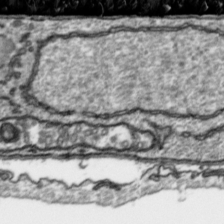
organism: Toxoplasma gondii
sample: Parasites in a vacuole inside a host cell